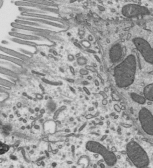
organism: Mouse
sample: Mouse epididymis efferent ductule cilia